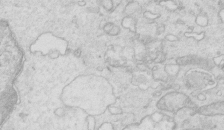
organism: Mouse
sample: Multiciliated cells